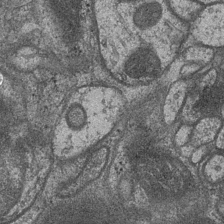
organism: Drosophila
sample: Optic medulla